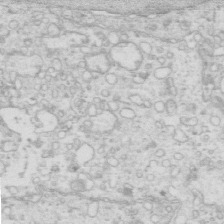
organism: Mouse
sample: Multiciliated cells